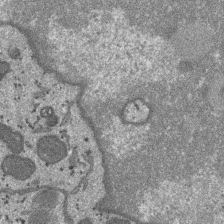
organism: Human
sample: Lung epithelial cells infected with SARS-CoV-2